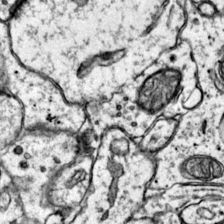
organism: Mouse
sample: Primary visual cortex